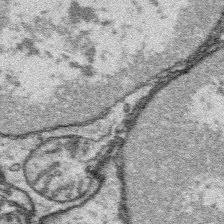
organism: Platynereis dumerilii